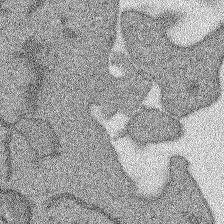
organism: Human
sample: HeLa cells